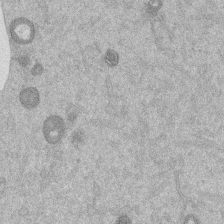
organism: Mouse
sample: Dividing mouse embryo 1 cell stage